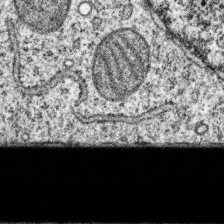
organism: Human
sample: HeLa cells